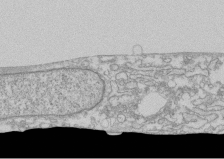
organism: Human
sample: CRL-1474